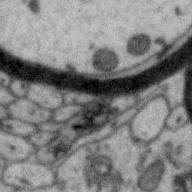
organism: Zebra finch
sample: Brain